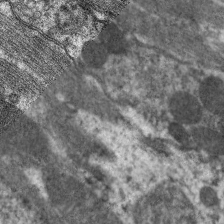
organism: C. elegans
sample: Pharynx